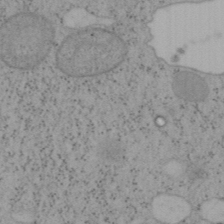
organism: Mouse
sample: OT-I killer T cells with ID8 ovarian cancer cells